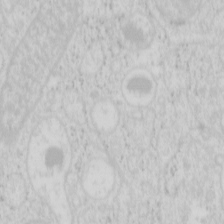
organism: Mouse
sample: Pancreas